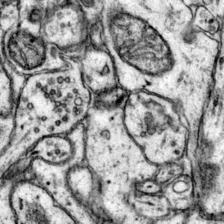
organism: Mouse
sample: Primary visual cortex